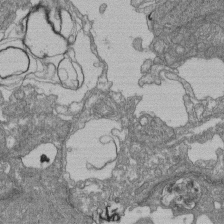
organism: Human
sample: Retinal organoid Rod and Cone cells